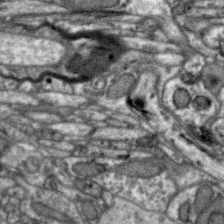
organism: Zebra finch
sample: Brain